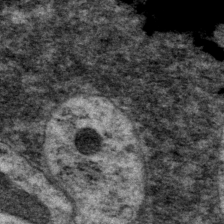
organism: P. pacificus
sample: Pharynx